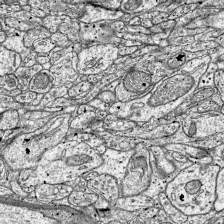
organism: Mouse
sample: Visual Cortex